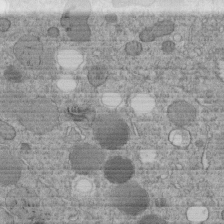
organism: C. elegans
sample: C. elegans embryo early stage